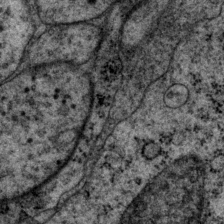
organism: P. pacificus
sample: Pharynx